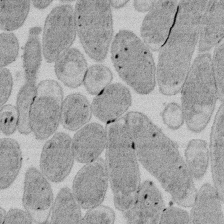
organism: E. coli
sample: Bacterial nucleoid